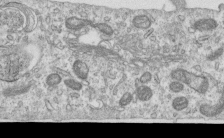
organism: Human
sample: Centriole in RPE cells